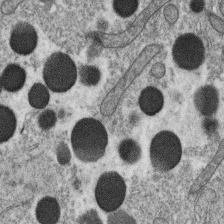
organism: C. elegans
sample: C. elegans oocyte; sperm cells